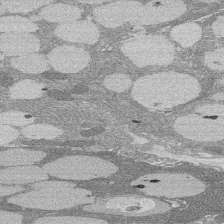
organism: Rat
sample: Salivary granule